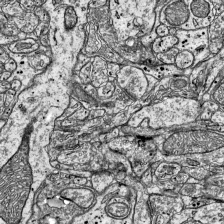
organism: Mouse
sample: Visual Cortex